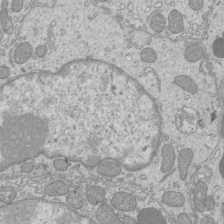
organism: Mouse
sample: Cilia; mouse epididymis